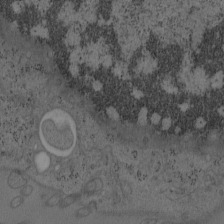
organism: Mouse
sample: OT-I killer T cells with ID8 ovarian cancer cells